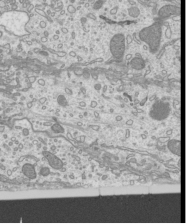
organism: Mouse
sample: Cilia; mouse epididymis